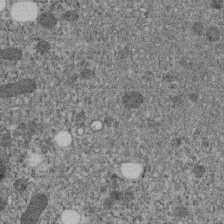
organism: C. elegans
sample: C. elegans embryo early stage